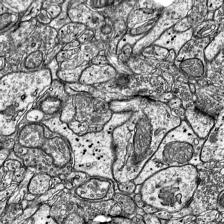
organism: Mouse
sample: Visual Cortex